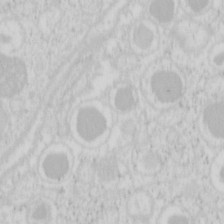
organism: Mouse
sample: Pancreas